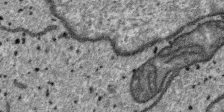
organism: Human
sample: Lung epithelial cells, uninfected (mock) control